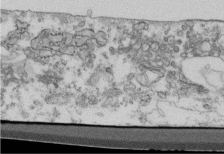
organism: Mouse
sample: Cilia; retinal pigment epithelium